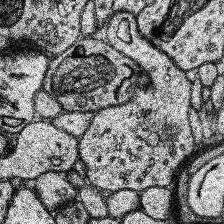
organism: Human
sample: Temporal Lobe